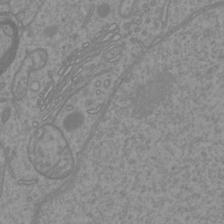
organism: Mouse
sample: Cortical neurons